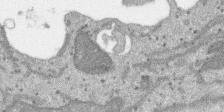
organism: Human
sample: Lung epithelial cells infected with SARS-CoV-2